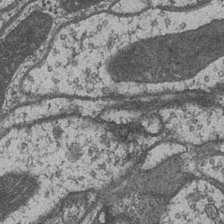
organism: Drosophila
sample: Optic medulla